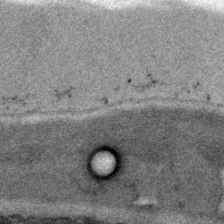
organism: P. pacificus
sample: Pharynx